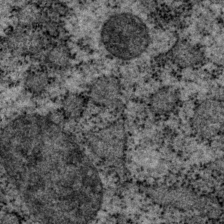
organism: P. pacificus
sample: Pharynx